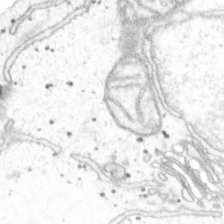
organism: Human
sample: HeLa cells